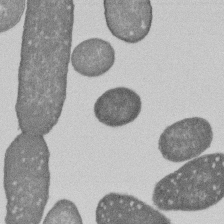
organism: E. coli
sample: Bacterial nucleoid